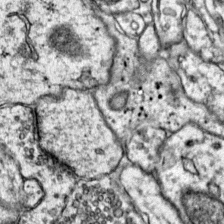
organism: Mouse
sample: Primary visual cortex